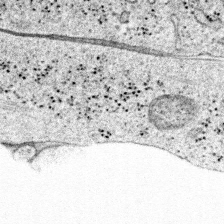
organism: Human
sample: HeLa cells